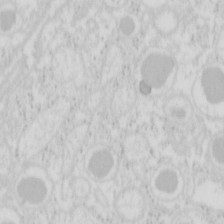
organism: Mouse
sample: Pancreas